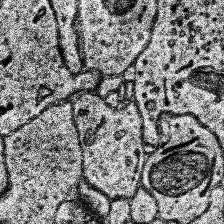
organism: Human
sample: Temporal Lobe